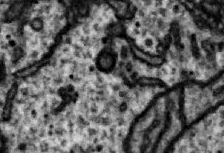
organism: Human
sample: HeLa cells